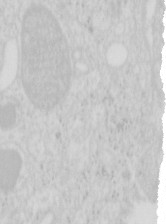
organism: Mouse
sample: Pancreas